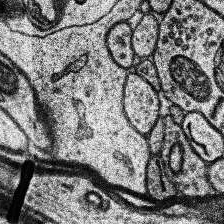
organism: Human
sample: Temporal Lobe